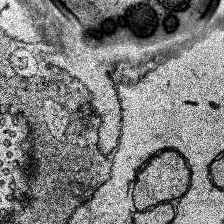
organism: Human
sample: Temporal Lobe